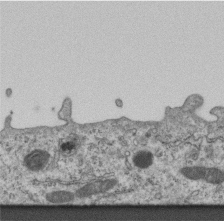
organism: Mouse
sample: Centriole in ependymal cells